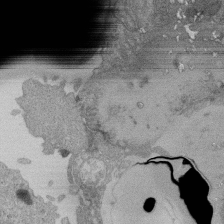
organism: Human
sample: Retinal organoid Rod and Cone cells